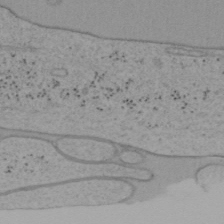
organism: Human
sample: HeLa cells